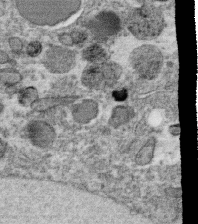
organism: C. elegans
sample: C. elegans oocyte; sperm cells